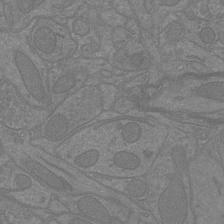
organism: Mouse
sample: Cortical neurons